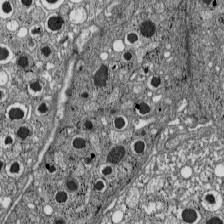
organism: C57BL Mouse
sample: Pancreatic islet